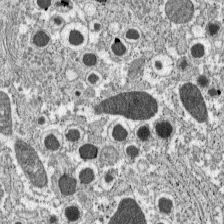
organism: C57BL Mouse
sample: Pancreatic islet